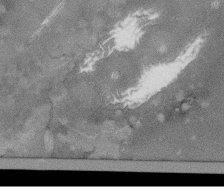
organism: Tetrahymena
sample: Cilia in tetrahymena